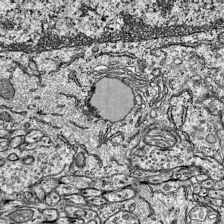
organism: Mouse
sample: Visual Cortex